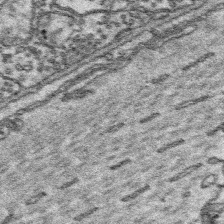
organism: Platynereis dumerilii